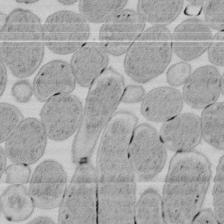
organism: E. coli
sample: Bacterial nucleoid